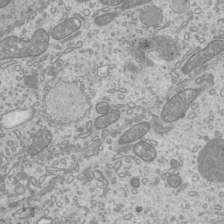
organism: Mouse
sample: Cilia; mouse epididymis